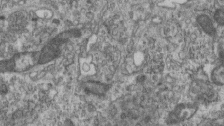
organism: Mouse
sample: Centriole in ependymal cells